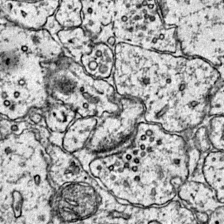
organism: Mouse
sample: Primary visual cortex